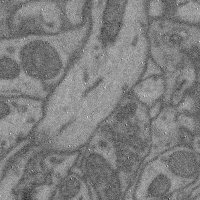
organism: Mouse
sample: Cerebral cortex